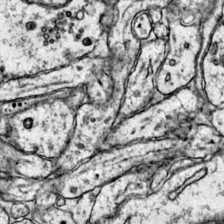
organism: Mouse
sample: Primary visual cortex